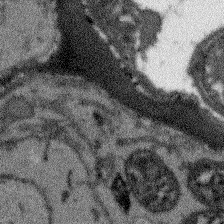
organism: Arabidopsis thaliana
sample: Root tip